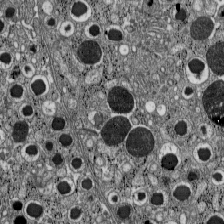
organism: C57BL Mouse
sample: Pancreatic islet